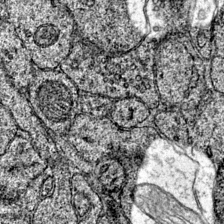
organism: Mouse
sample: Primary visual cortex